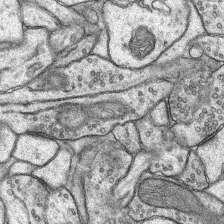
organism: Rat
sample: Hippocampus